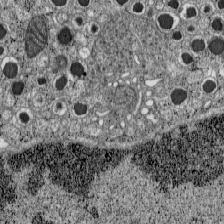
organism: C57BL Mouse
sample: Pancreatic islet